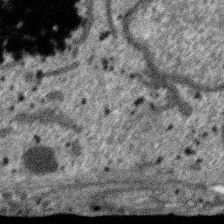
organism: Human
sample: Lung epithelial cells infected with SARS-CoV-2